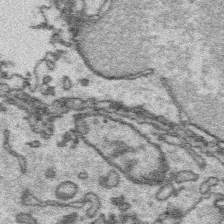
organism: Platynereis dumerilii